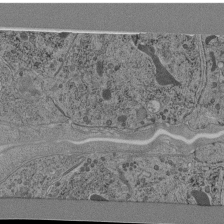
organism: C. elegans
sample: C. elegans pharynx